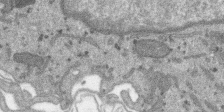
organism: Human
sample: Lung epithelial cells infected with SARS-CoV-2